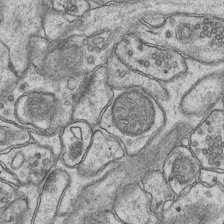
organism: Mouse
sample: CA1 Hippocampus